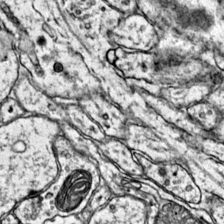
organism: Mouse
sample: Primary visual cortex